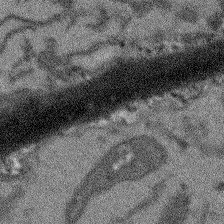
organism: Arabidopsis thaliana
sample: Root tip